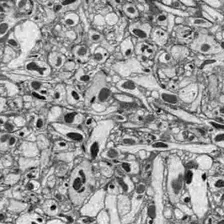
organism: Drosophila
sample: Optic lobe